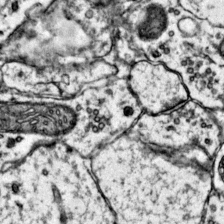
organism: Mouse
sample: Primary visual cortex